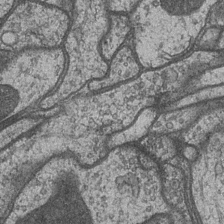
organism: Drosophila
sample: Optic medulla